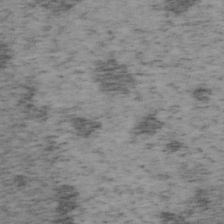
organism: Mouse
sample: OT-I killer T cells with ID8 ovarian cancer cells